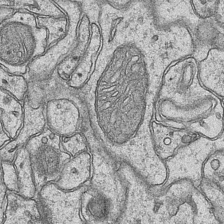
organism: Mouse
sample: CA1 Hippocampus